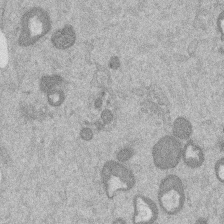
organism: Mouse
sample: Dividing mouse embryo 1 cell stage